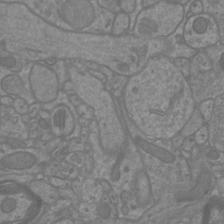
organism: Mouse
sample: Cortical neurons